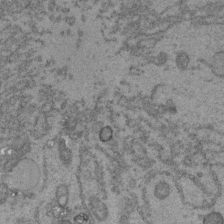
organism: C. elegans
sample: C. elegans embryo early stage